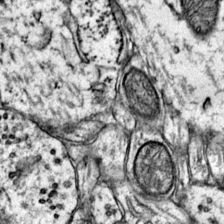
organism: Mouse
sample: Primary visual cortex